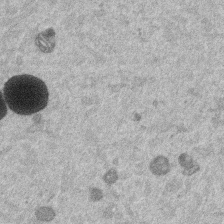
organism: Mouse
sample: Dividing mouse embryo 1 cell stage